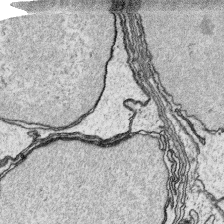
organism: Platynereis dumerilii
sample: Parapodia